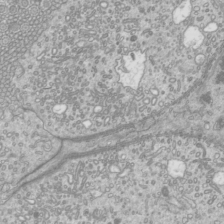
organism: Mouse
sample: Cilia; mouse epididymis